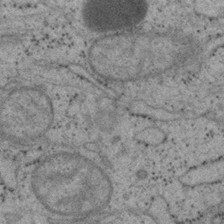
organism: Human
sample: HeLa cells